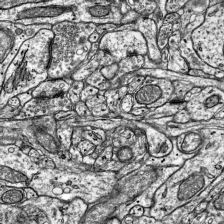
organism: Mouse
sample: Visual Cortex